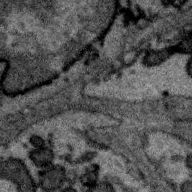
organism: Zebra finch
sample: Brain